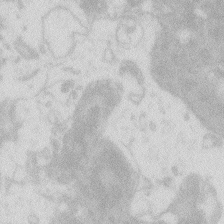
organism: Zebrafish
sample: Macrophage